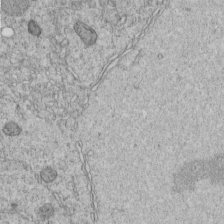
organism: C. elegans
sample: C. elegans embryo early stage